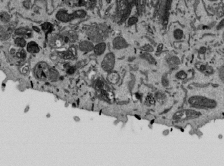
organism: Mouse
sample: ED-1 cell nuclei; centrioles